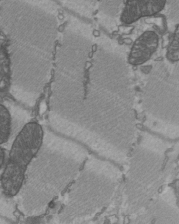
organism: C57BL Mouse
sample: Heart